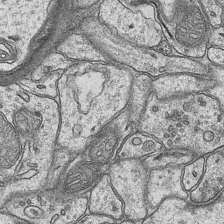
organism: Mouse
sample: CA1 Hippocampus